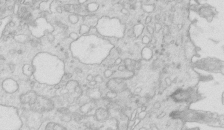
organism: Mouse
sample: Multiciliated cells